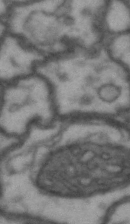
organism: Drosophila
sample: Brain